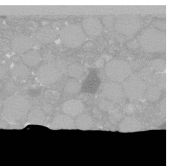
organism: C. elegans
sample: C. elegans oocyte; sperm cells